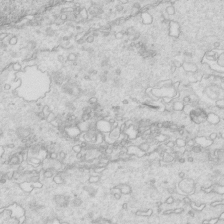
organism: Mouse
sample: Multiciliated cells